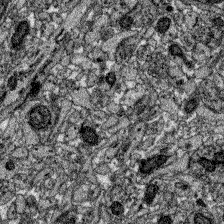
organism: Zebrafish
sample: Larval olfactory bulb